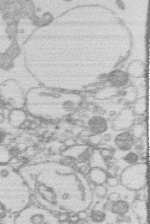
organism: Human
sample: Macrophage cells